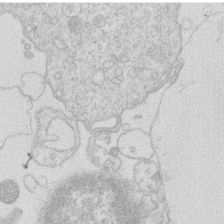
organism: Human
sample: Macrophage cells